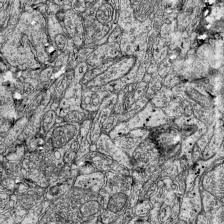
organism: Mouse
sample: Visual Cortex